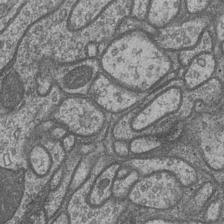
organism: Drosophila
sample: Optic medulla